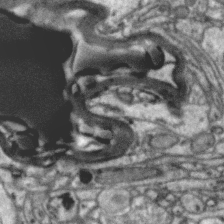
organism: Zebra finch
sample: Brain